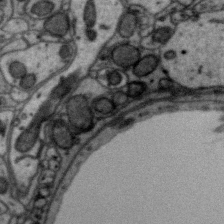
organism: Zebra finch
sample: Brain